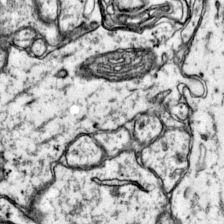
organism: Mouse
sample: Primary visual cortex